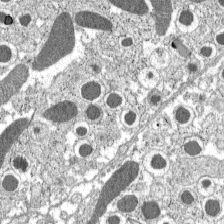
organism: C57BL Mouse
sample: Pancreatic islet